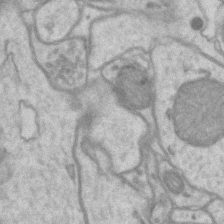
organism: Mouse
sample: CA1 Hippocampus